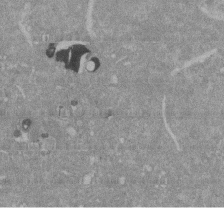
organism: Mouse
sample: ED-1 cell nuclei; centrioles